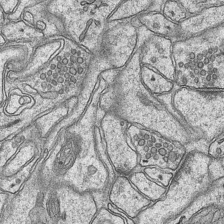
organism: Mouse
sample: CA1 Hippocampus